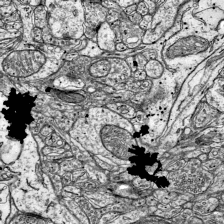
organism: Mouse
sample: Visual Cortex